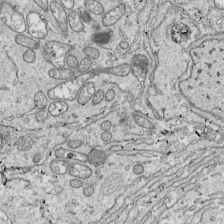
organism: Drosophila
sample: Cell division; meiosis; drosophila spermatocytes